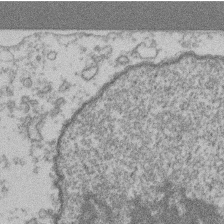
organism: Mouse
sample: T cell stromal cell synapse